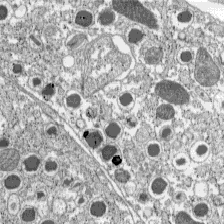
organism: C57BL Mouse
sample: Pancreatic islet